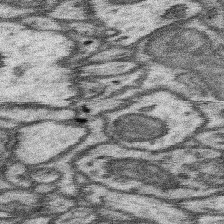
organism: Mouse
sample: Somatosensory cortex neuropil